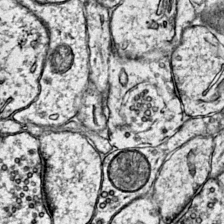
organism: Mouse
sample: Primary visual cortex